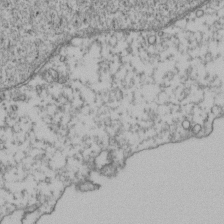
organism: Human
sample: Activated Jurkat CD4+ T cells